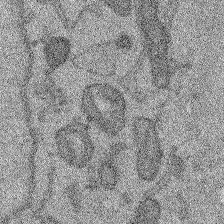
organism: Human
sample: HeLa cells